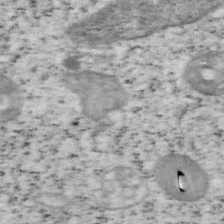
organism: Mouse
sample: OT-I killer T cells with ID8 ovarian cancer cells